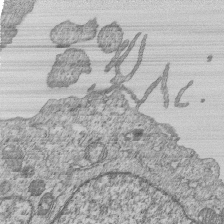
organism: Human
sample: MDA-MB-231 cells